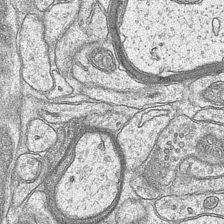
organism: Mouse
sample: CA1 Hippocampus